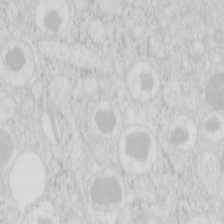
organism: Mouse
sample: Pancreas